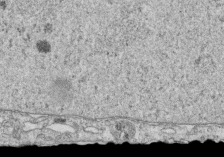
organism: Human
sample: HeLa cell HIV synapse